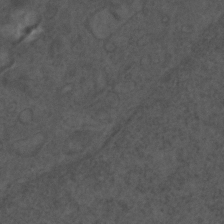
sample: Trachea